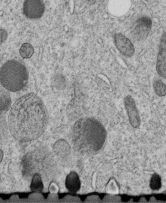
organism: C. elegans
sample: C. elegans embryo early stage